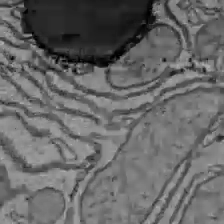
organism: C57BL Mouse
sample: Liver